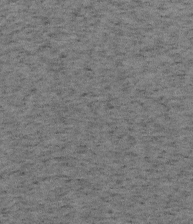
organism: Mouse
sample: OT-I killer T cells with ID8 ovarian cancer cells